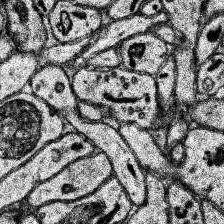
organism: Human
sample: Temporal Lobe